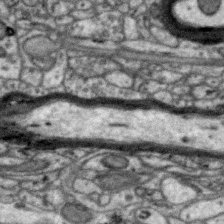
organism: Zebra finch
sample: Brain